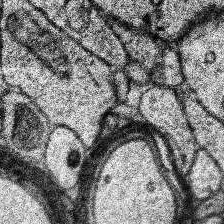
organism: Human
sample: Temporal Lobe